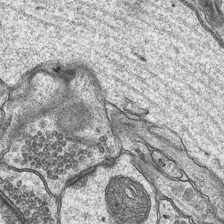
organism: Mouse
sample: CA1 Hippocampus